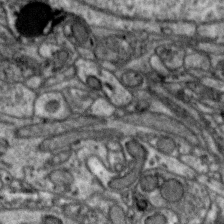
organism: Zebra finch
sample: Brain